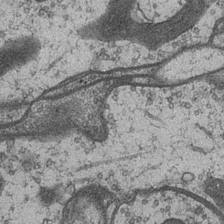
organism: Drosophila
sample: Optic medulla